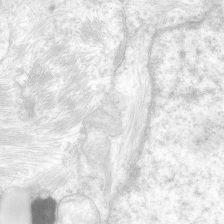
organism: Human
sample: Neocortex